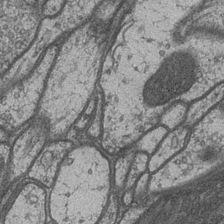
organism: Drosophila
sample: Optic medulla